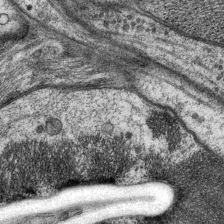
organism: P. pacificus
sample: Pharynx